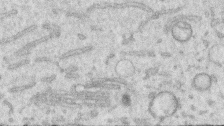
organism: Human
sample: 1205lu cells